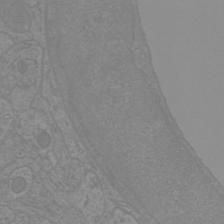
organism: Mouse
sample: Cortical neurons